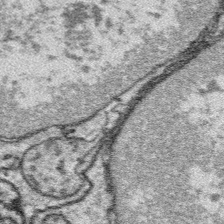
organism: Platynereis dumerilii